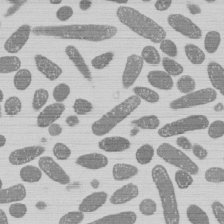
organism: E. coli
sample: Bacterial nucleoid